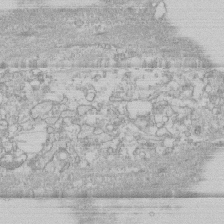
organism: Human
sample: CRL-1474